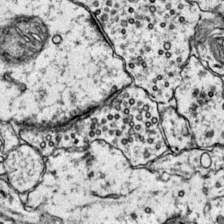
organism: Mouse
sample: Primary visual cortex